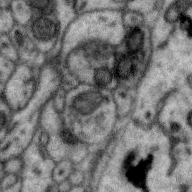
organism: Zebra finch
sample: Brain